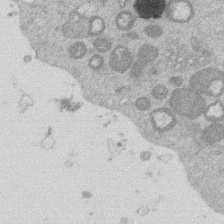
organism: Mouse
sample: Dividing mouse embryo 1 cell stage